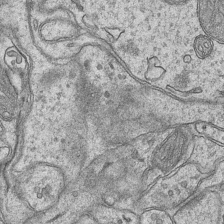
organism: Mouse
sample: CA1 Hippocampus